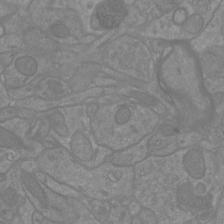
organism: Mouse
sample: Cortical neurons